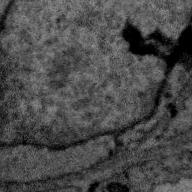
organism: Zebra finch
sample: Brain